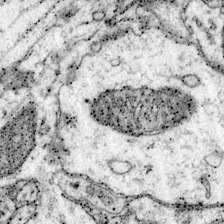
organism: Mouse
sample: Primary visual cortex